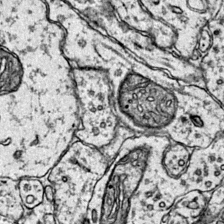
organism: Mouse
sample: Primary visual cortex